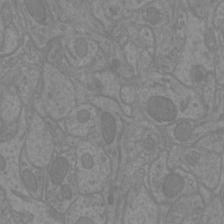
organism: Mouse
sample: Cortical neurons